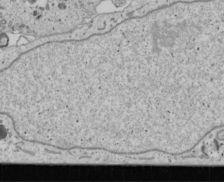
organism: Human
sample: Mitochondria in U2OS cells